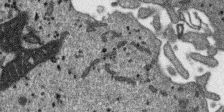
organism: Human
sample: Lung epithelial cells infected with SARS-CoV-2